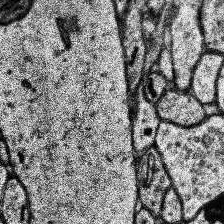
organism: Human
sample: Temporal Lobe